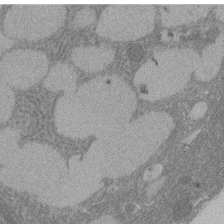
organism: Rat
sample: Salivary granule